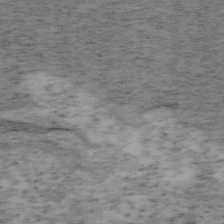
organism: Mouse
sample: OT-I killer T cells with ID8 ovarian cancer cells